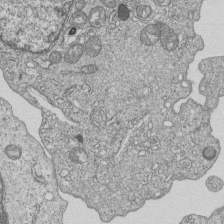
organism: Human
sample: MDA-MB-231 cells